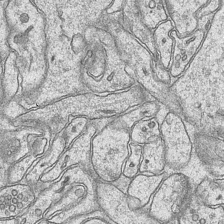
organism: Mouse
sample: CA1 Hippocampus